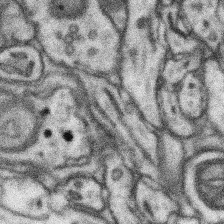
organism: Mouse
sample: Somatosensory cortex neuropil